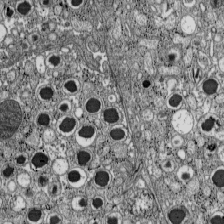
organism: C57BL Mouse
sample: Pancreatic islet